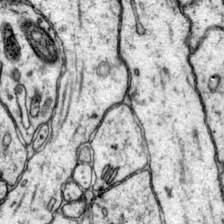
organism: Mouse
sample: Primary visual cortex